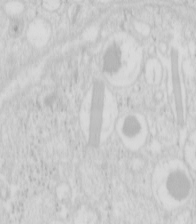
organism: Mouse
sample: Pancreas